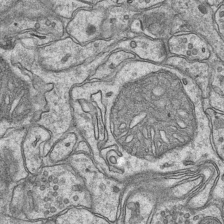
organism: Mouse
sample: CA1 Hippocampus